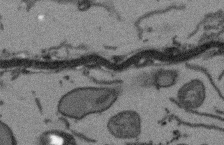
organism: Arabidopsis thaliana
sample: Root tip